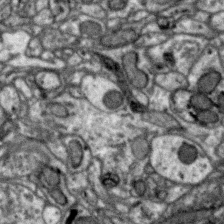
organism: Zebra finch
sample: Brain